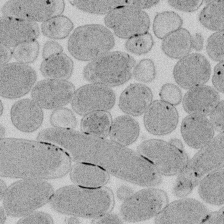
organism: E. coli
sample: Bacterial nucleoid